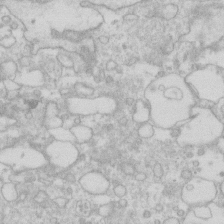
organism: Human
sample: Fibroblast cells